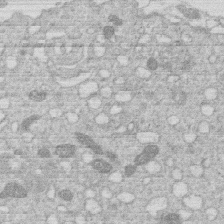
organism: Human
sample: Macrophage cells